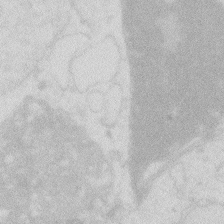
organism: Zebrafish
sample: Macrophage